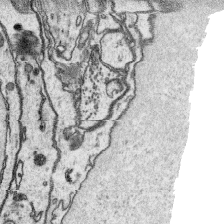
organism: Platynereis dumerilii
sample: Parapodia